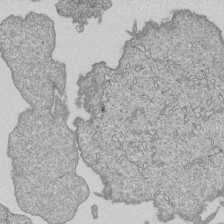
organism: Human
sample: MDA-MB-231 cells